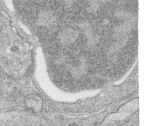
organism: Zebrafish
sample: synaptic ribbons in rod cells and cone cells